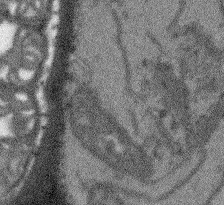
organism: Arabidopsis thaliana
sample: Root tip